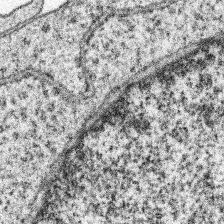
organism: Human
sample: HeLa cells